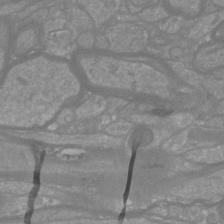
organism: Mouse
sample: Cortical neurons